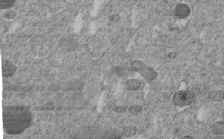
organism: C. elegans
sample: C. elegans embryo early stage